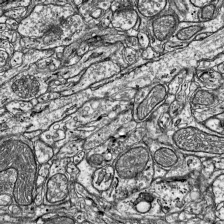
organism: Mouse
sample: Visual Cortex